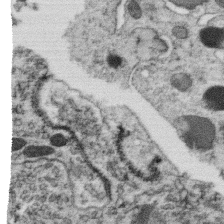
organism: C. elegans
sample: C. elegans oocyte; sperm cells